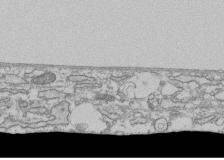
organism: Human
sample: Fibroblast cells